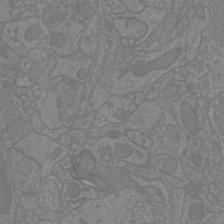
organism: Mouse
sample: Cortical neurons